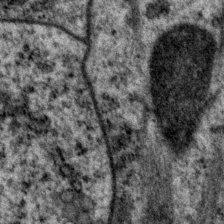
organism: P. pacificus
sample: Pharynx